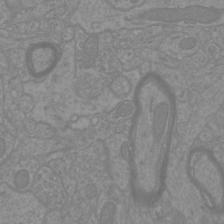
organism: Mouse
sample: Cortical neurons